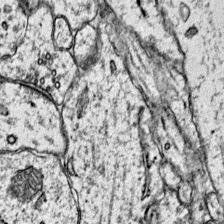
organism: Mouse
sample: Primary visual cortex